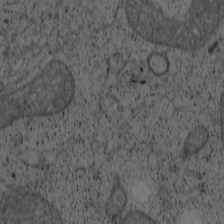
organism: African green monkey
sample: COS-7 cells